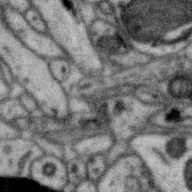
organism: Zebra finch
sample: Brain